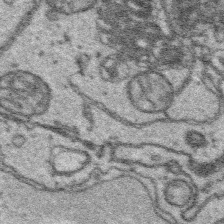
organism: Platynereis dumerilii